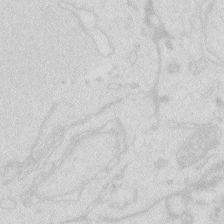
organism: Zebrafish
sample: Macrophage